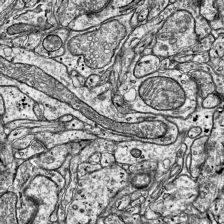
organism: Mouse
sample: Visual Cortex